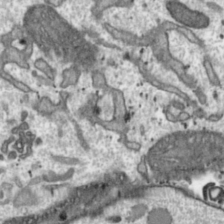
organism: Toxoplasma gondii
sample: Parasites in a vacuole inside a host cell